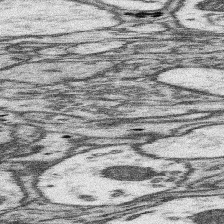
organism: Mouse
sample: Somatosensory cortex neuropil